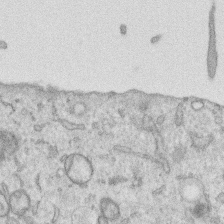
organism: Human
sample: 1205lu cells